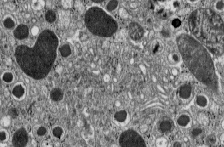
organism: C57BL Mouse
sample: Pancreatic islet